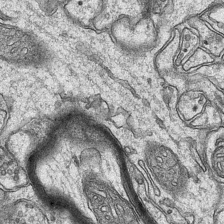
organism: Mouse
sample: CA1 Hippocampus